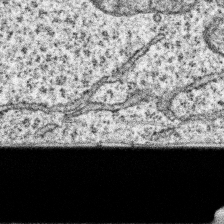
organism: Human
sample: HeLa cells